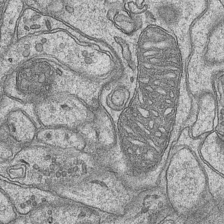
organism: Mouse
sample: CA1 Hippocampus